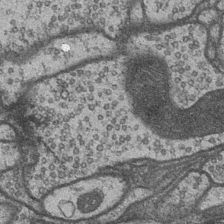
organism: Drosophila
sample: Optic medulla